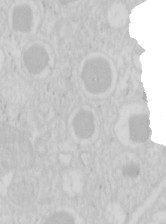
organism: Mouse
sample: Pancreas